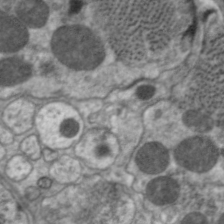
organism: C. elegans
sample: Pharynx